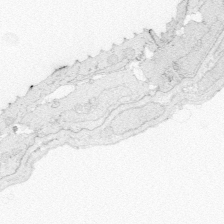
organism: Zebrafish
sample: Whole-Brain